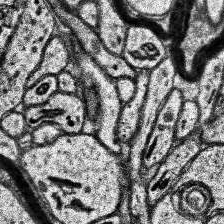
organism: Human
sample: Temporal Lobe